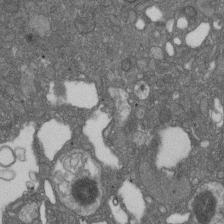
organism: Drosophila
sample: Nephrocyte